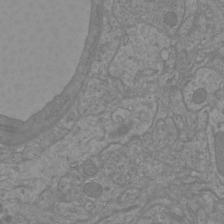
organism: Mouse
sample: Cortical neurons